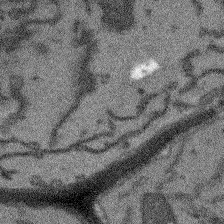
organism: Arabidopsis thaliana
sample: Root tip